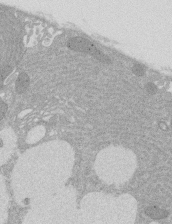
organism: Rat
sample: Salivary granule